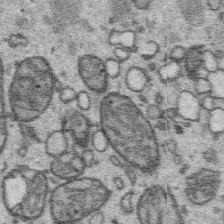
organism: Platynereis dumerilii